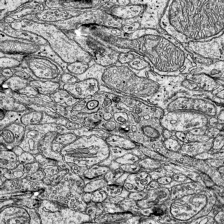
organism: Mouse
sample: Visual Cortex